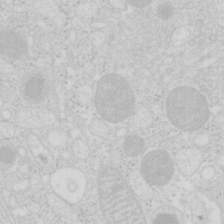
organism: Mouse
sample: Pancreas